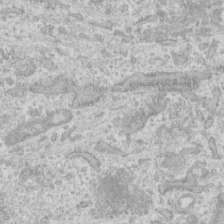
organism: Human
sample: CRL-1474